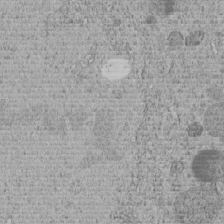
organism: C. elegans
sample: C. elegans embryo early stage